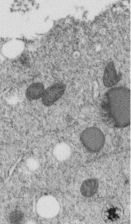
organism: C. elegans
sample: C. elegans embryo early stage